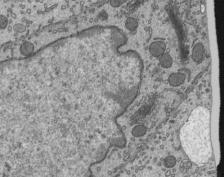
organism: Mouse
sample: Mouse epididymis efferent ductule cilia